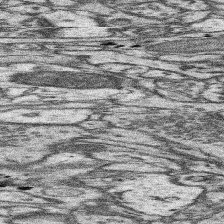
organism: Mouse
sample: Somatosensory cortex neuropil